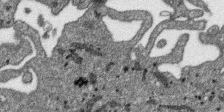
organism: Human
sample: Lung epithelial cells infected with SARS-CoV-2